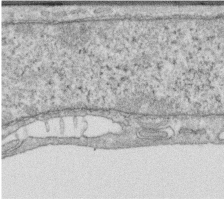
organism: Human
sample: Centriole in RPE cells